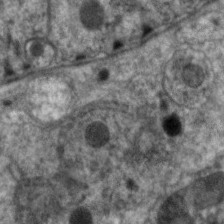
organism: C. elegans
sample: Pharynx